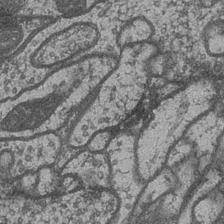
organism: Drosophila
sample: Optic medulla